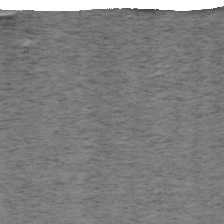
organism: Mouse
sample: OT-I killer T cells with ID8 ovarian cancer cells